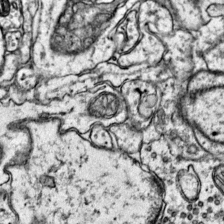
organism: Mouse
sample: Primary visual cortex